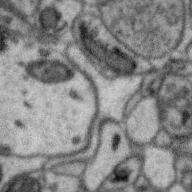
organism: Zebra finch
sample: Brain